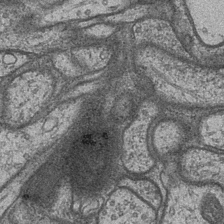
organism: Drosophila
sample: Optic medulla